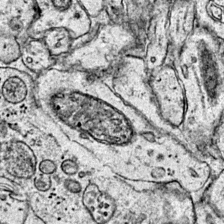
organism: Mouse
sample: Primary visual cortex